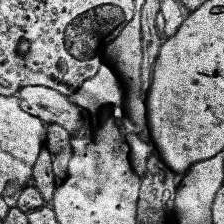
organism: Human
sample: Temporal Lobe